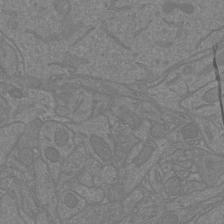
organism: Mouse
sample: Cortical neurons